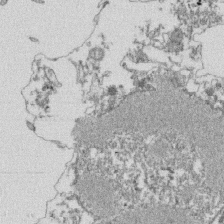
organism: Human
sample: HeLa cell HIV synapse